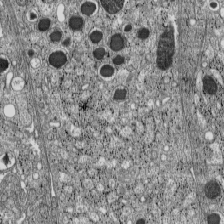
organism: C57BL Mouse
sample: Pancreatic islet